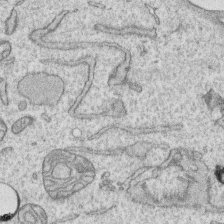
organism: Human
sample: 1205lu cells